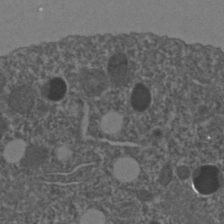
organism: C. elegans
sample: C. elegans embryo